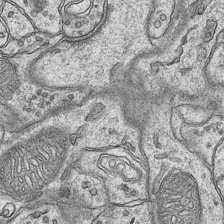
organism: Mouse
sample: CA1 Hippocampus